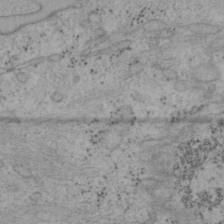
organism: Human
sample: HeLa cells